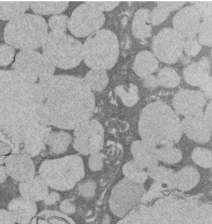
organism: Rat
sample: Salivary granule